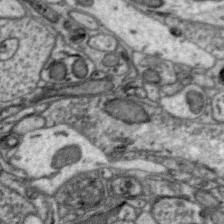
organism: Zebra finch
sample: Brain